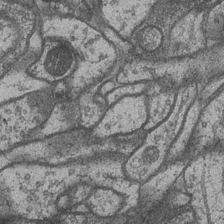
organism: Drosophila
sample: Optic medulla